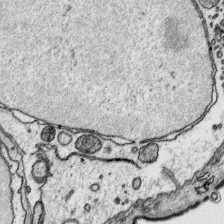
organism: Platynereis dumerilii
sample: Parapodia